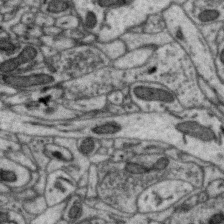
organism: Zebra finch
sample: Brain